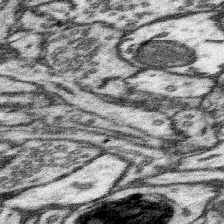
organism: Mouse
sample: Somatosensory cortex neuropil